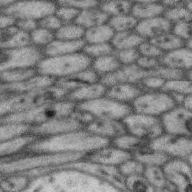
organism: Zebra finch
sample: Brain